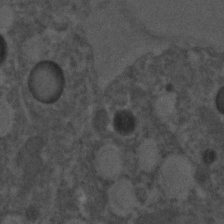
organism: C. elegans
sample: C. elegans embryo